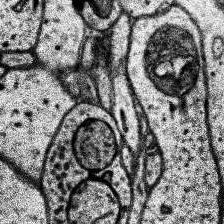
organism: Human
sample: Temporal Lobe